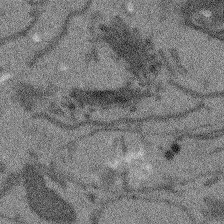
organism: Arabidopsis thaliana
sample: Root tip